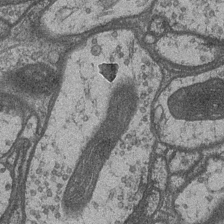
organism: Drosophila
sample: Optic medulla